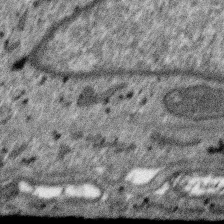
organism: Human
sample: Lung epithelial cells infected with SARS-CoV-2